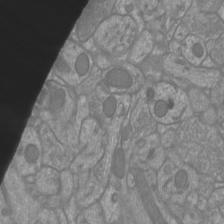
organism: Mouse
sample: Cortical neurons